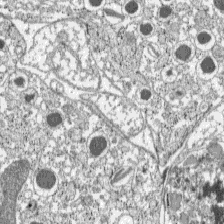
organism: C57BL Mouse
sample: Pancreatic islet